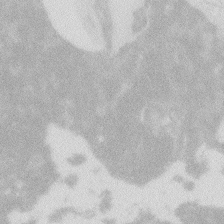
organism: Zebrafish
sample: Macrophage